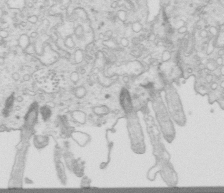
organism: Mouse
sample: Multiciliated cells